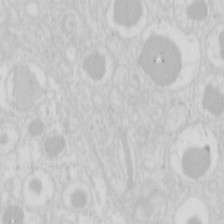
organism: Mouse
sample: Pancreas